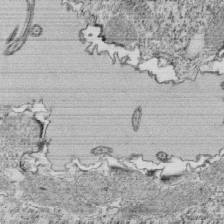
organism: Tetrahymena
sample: Cilia in tetrahymena